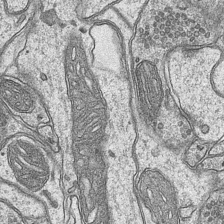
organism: Mouse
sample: CA1 Hippocampus